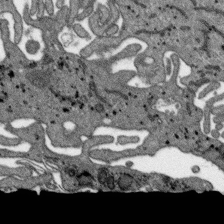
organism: Human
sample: Lung epithelial cells, uninfected (mock) control